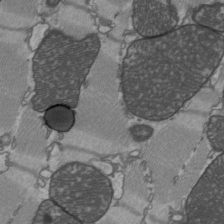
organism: C57BL Mouse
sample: Heart